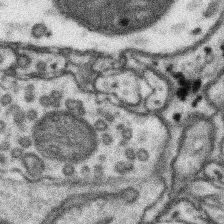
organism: Mouse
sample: Somatosensory cortex neuropil